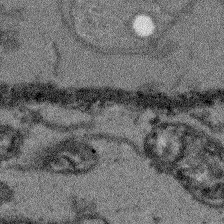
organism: Arabidopsis thaliana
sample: Root tip